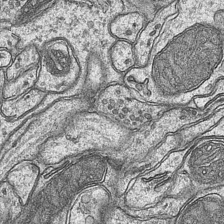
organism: Mouse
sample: CA1 Hippocampus